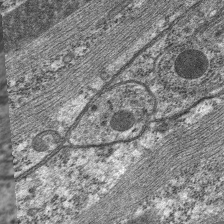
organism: C. elegans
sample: Pharynx